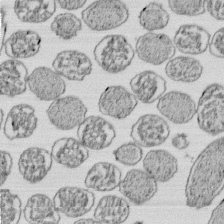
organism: E. coli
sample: Bacterial nucleoid